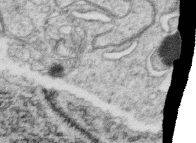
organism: C. elegans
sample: C. elegans oocyte; sperm cells